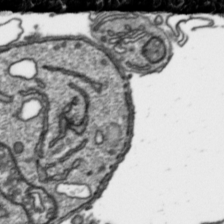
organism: Toxoplasma gondii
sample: Parasites in a vacuole inside a host cell